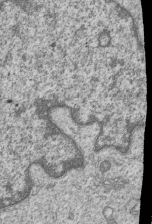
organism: Human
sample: MDA-MB-231 cells